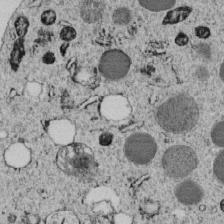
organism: C. elegans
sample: C. elegans embryo early stage